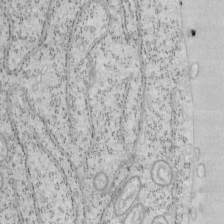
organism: Mouse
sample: OT-I killer T cells with ID8 ovarian cancer cells